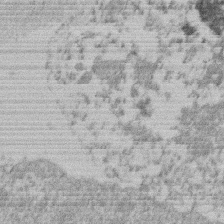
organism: Mouse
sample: Dividing mouse embryo 1 cell stage